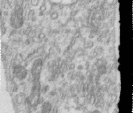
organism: Human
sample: Centriole in RPE cells